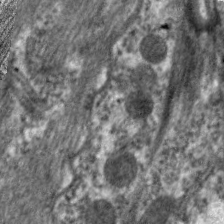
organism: C. elegans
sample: Pharynx